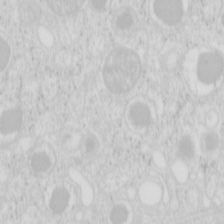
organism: Mouse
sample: Pancreas